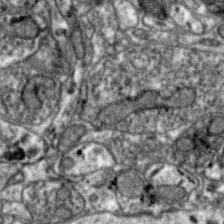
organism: Zebra finch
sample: Brain